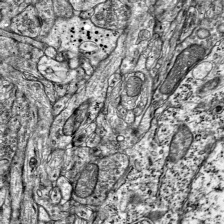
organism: Mouse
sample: Visual Cortex